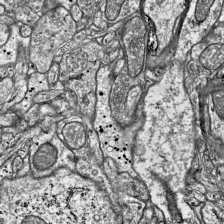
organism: Mouse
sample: Visual Cortex